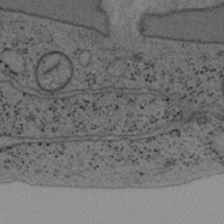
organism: Human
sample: HeLa cells